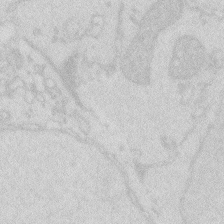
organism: Zebrafish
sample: Macrophage